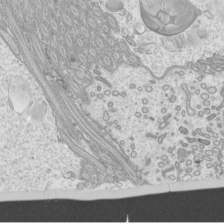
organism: Mouse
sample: Cilia; mouse epididymis